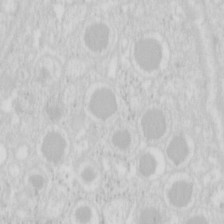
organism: Mouse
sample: Pancreas